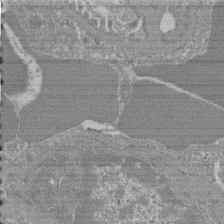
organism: Mouse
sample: Glomerulus